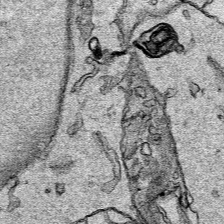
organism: Human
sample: Mitochondria in HCT116 cells